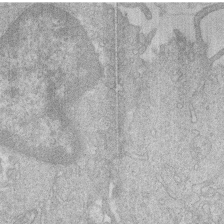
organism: Human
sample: Macrophage cells